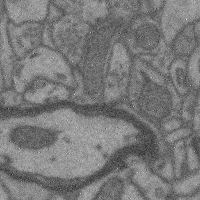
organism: Mouse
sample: Cerebral cortex